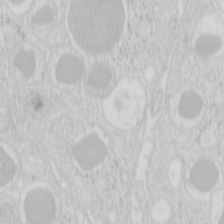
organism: Mouse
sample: Pancreas